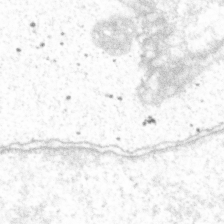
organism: Human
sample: HeLa cells